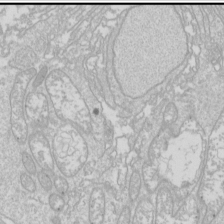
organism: Drosophila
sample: Cell division; meiosis; drosophila spermatocytes